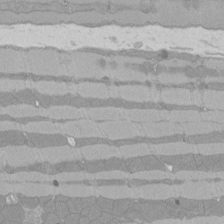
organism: Rat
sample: Left ventricle